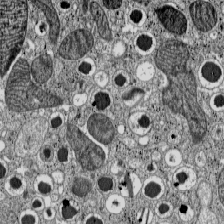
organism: C57BL Mouse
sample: Pancreatic islet